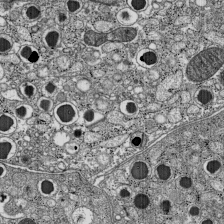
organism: C57BL Mouse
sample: Pancreatic islet